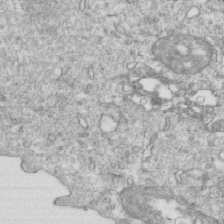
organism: Mouse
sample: Activated OT-1 CD8+ T cells